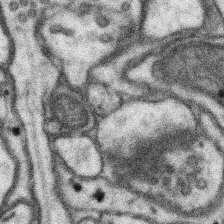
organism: Mouse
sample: Somatosensory cortex neuropil